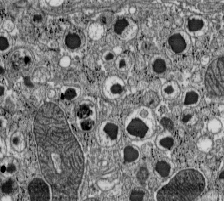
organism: C57BL Mouse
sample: Pancreatic islet